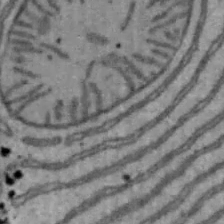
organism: Mouse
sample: Liver